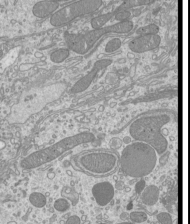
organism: Mouse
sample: Cilia; mouse epididymis